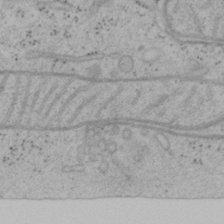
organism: Human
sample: HeLa cells